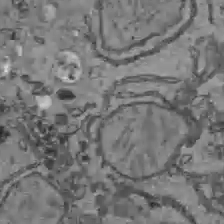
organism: C57BL Mouse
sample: Liver